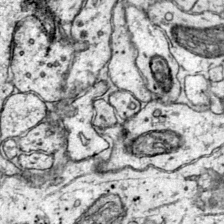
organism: Mouse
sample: Primary visual cortex